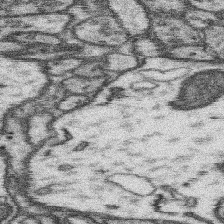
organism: Mouse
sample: Somatosensory cortex neuropil